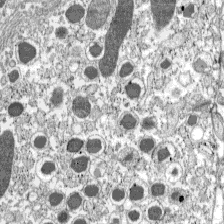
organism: C57BL Mouse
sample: Pancreatic islet